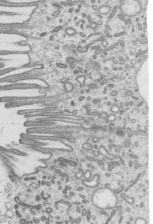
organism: Mouse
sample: Mouse epididymis efferent ductule cilia